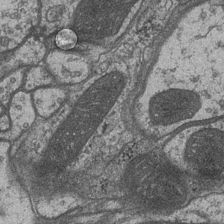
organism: Drosophila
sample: Optic medulla